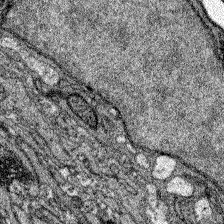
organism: Zebrafish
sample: Larval olfactory bulb